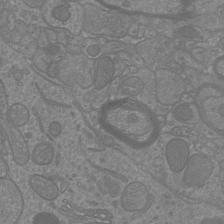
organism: Mouse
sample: Cortical neurons